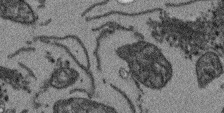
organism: Arabidopsis thaliana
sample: Root tip